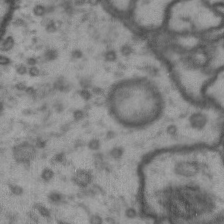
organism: Drosophila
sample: Brain